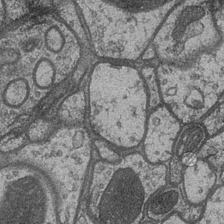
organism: Drosophila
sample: Optic medulla